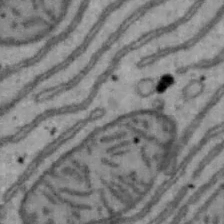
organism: Mouse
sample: Liver